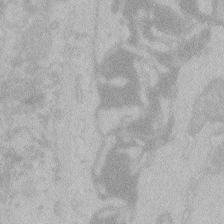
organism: Zebrafish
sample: Macrophage infected with Toxoplasma gondii